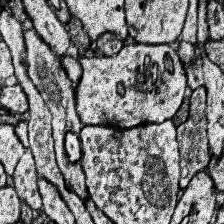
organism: Human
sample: Temporal Lobe